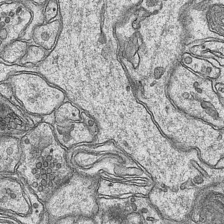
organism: Mouse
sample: CA1 Hippocampus